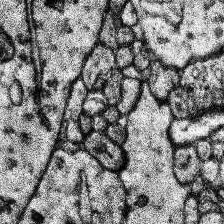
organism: Human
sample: Temporal Lobe